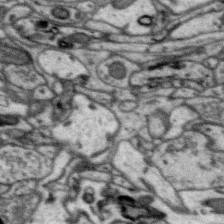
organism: Zebra finch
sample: Brain